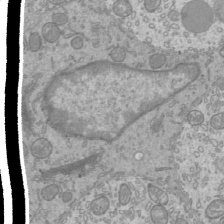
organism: Mouse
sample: Cilia; mouse epididymis